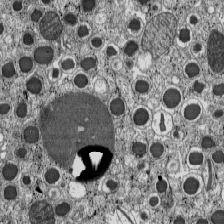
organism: C57BL Mouse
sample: Pancreatic islet